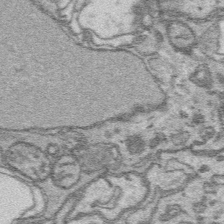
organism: Platynereis dumerilii